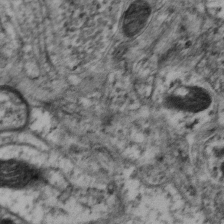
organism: Mouse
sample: Neocortex